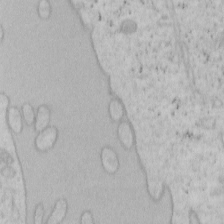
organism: Human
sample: HeLa cells